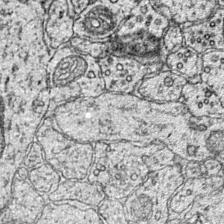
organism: Mouse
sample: Primary visual cortex